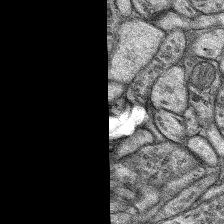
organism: Rat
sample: Hippocampus